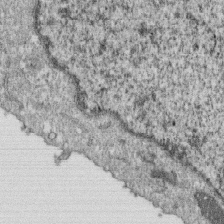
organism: African green monkey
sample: Vero E6 cells infected with SARS-CoV-2